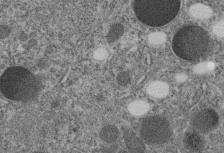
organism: C. elegans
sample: C. elegans embryo early stage